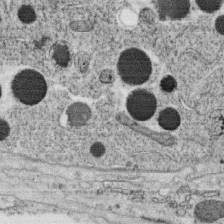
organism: C. elegans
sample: C. elegans oocyte; sperm cells